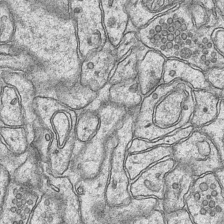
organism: Mouse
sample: CA1 Hippocampus